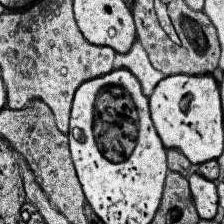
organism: Human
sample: Temporal Lobe